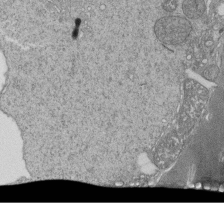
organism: Tetrahymena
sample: Cilia in tetrahymena